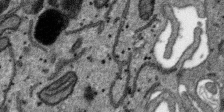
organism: Human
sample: Lung epithelial cells, uninfected (mock) control